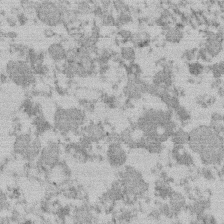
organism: Mouse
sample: Dividing mouse embryo 1 cell stage